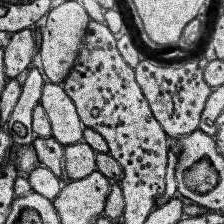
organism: Human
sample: Temporal Lobe